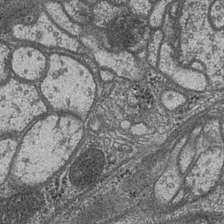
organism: Drosophila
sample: Optic medulla